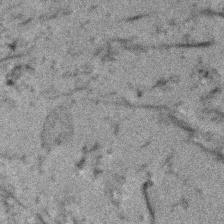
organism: Human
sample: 1205lu cells